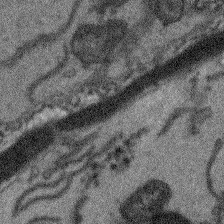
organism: Arabidopsis thaliana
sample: Root tip